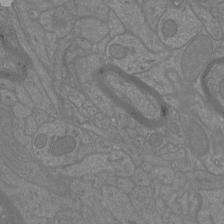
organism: Mouse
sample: Cortical neurons